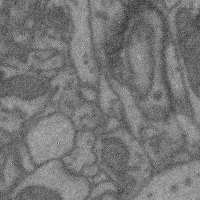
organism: Mouse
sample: Cerebral cortex